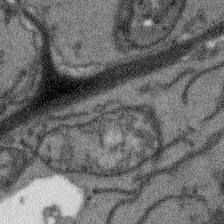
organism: Arabidopsis thaliana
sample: Root tip